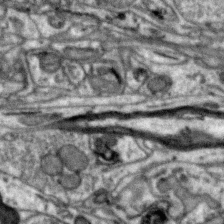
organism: Zebra finch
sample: Brain